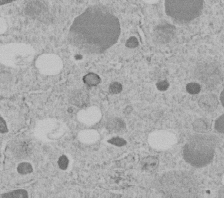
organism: C. elegans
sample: C. elegans embryo early stage